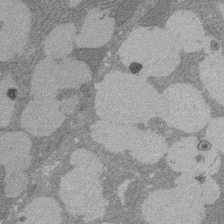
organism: Rat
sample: Salivary granule